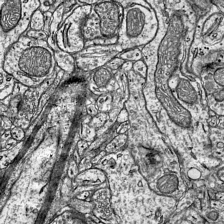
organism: Mouse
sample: Visual Cortex